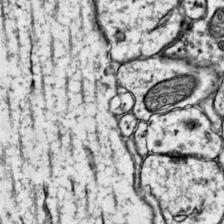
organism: Mouse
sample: Primary visual cortex